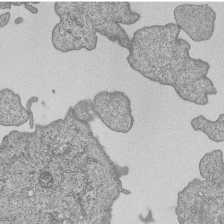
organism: Human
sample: MDA-MB-231 cells